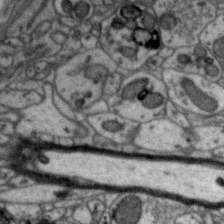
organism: Zebra finch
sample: Brain